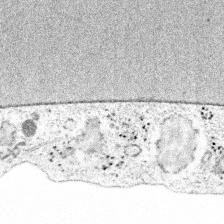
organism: Human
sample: HeLa cells